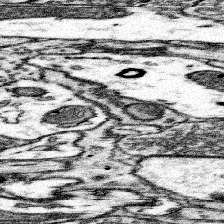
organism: Mouse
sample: Somatosensory cortex neuropil